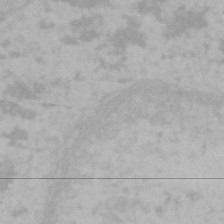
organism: Mouse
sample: Choroid plexus